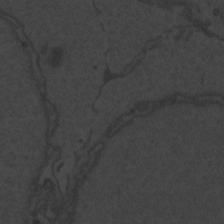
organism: Zebrafish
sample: Macrophage infected with Toxoplasma gondii